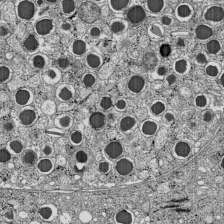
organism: C57BL Mouse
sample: Pancreatic islet